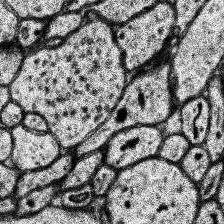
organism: Human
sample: Temporal Lobe